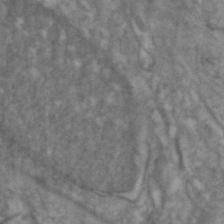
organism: Zebrafish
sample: Zebrafish embryo